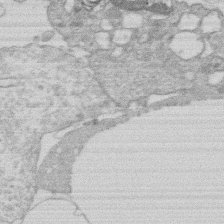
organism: Human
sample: Macrophage cells